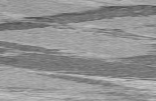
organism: C57BL Mouse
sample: Heart